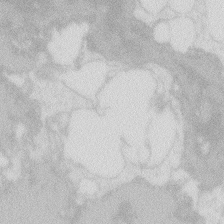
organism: Zebrafish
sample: Macrophage